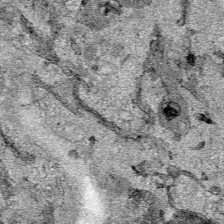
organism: Human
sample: Mitochondria in HCT116 cells